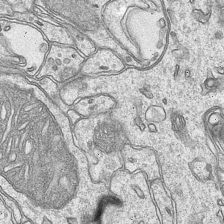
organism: Mouse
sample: CA1 Hippocampus